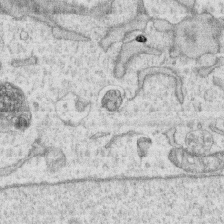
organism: Human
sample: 1205lu cells